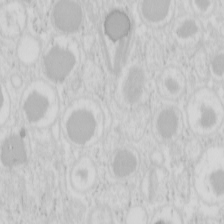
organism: Mouse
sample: Pancreas